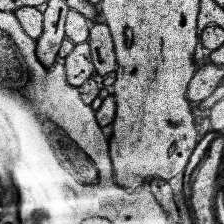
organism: Human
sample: Temporal Lobe